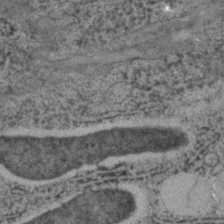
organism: C. elegans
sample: C. elegans embryo